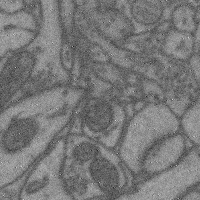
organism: Mouse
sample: Cerebral cortex